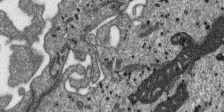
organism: Human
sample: Lung epithelial cells infected with SARS-CoV-2